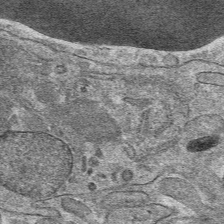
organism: Mouse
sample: Mouse hepatocytes